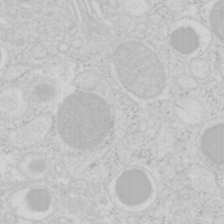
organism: Mouse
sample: Pancreas